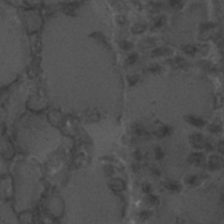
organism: C. elegans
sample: C. elegans embryo